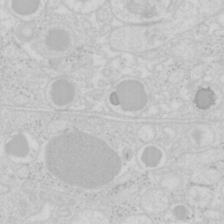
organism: Mouse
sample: Pancreas